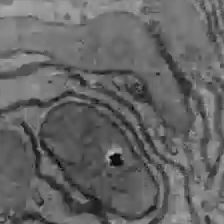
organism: C57BL Mouse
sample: Liver